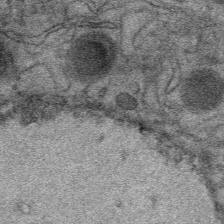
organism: Mouse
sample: Mouse Salivary gland